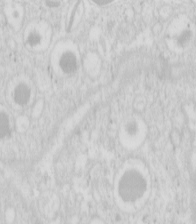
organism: Mouse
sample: Pancreas